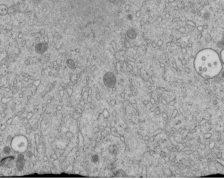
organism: C. elegans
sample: C. elegans embryo early stage